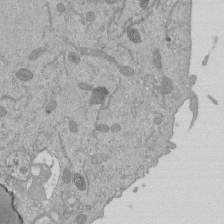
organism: Mouse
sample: ED-1 cell nuclei; centrioles